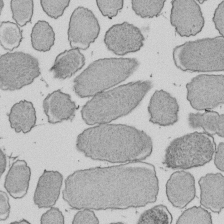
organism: E. coli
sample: Bacterial nucleoid